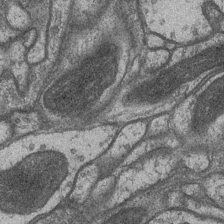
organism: Drosophila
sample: Optic medulla